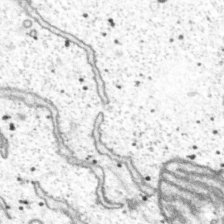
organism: Human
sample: HeLa cells